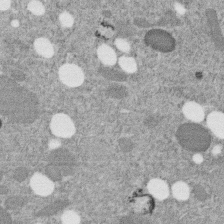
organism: C. elegans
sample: C. elegans embryo early stage